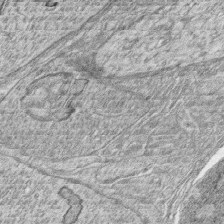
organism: Zebrafish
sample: synaptic ribbons in rod cells and cone cells